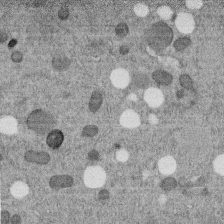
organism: C. elegans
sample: C. elegans embryo early stage